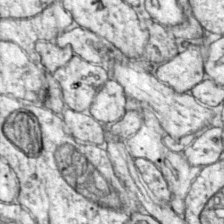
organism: Mouse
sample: Primary visual cortex